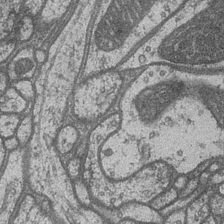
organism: Drosophila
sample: Optic medulla